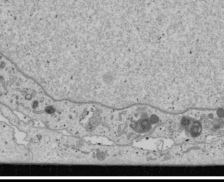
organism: Human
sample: Mitochondria in U2OS cells